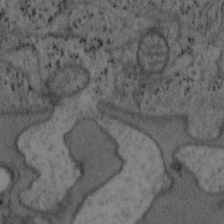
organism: Human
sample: HeLa cells